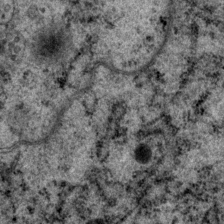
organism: P. pacificus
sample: Pharynx